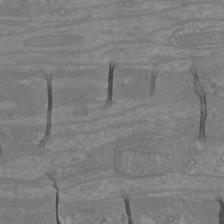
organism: Mouse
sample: Cortical neurons